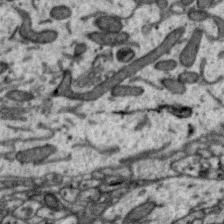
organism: Zebra finch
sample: Brain